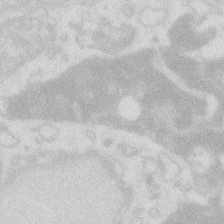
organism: Zebrafish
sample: Macrophage